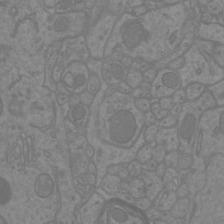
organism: Mouse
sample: Cortical neurons